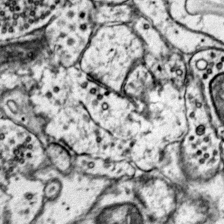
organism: Mouse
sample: Primary visual cortex